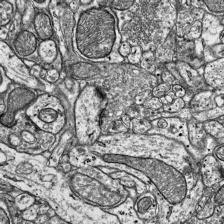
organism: Mouse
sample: Visual Cortex